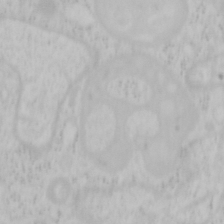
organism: Mouse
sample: OT-I killer T cells with ID8 ovarian cancer cells